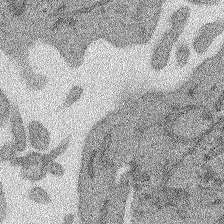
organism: Human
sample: HeLa cells